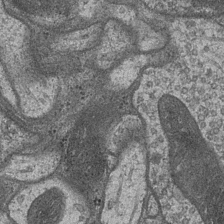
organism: Drosophila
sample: Optic medulla